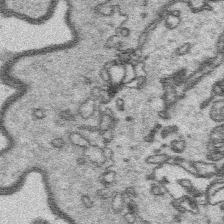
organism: Platynereis dumerilii